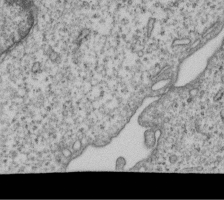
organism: Human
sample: MDA-MB-231 cells